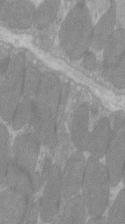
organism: C57BL Mouse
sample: Tibialis anterior muscle cell